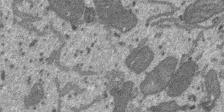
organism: Human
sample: Lung epithelial cells infected with SARS-CoV-2